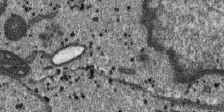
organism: Human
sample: Lung epithelial cells infected with SARS-CoV-2